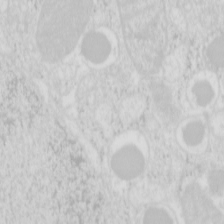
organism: Mouse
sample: Pancreas